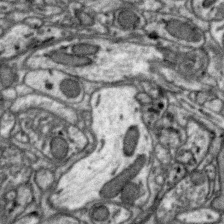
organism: Zebra finch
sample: Brain